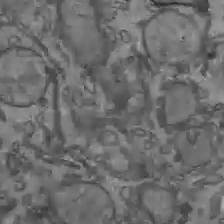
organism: C57BL Mouse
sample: Liver